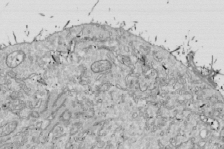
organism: Drosophila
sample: Cell division; meiosis; drosophila spermatocytes